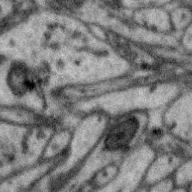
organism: Zebra finch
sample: Brain